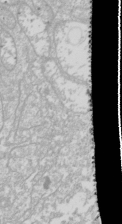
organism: Drosophila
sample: Cell division; meiosis; drosophila spermatocytes